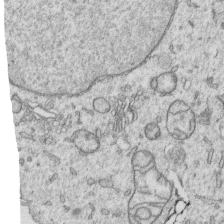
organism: Human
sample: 1205lu cells